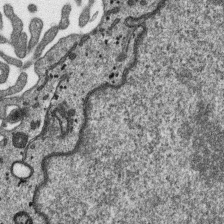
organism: Human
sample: Lung epithelial cells infected with SARS-CoV-2